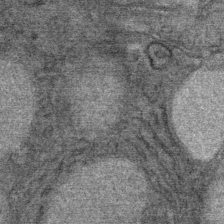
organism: Mouse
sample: Mouse Salivary gland